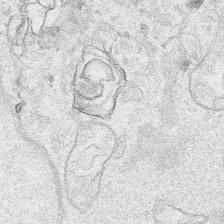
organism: Human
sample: Mitochondria in HCT116 cells